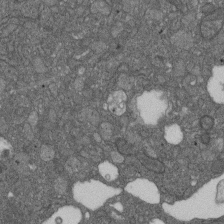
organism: Drosophila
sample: Nephrocyte